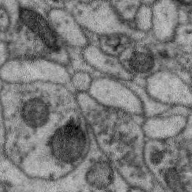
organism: Zebra finch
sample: Brain